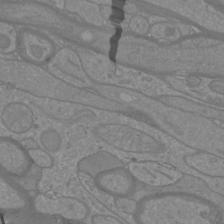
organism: Mouse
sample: Cortical neurons